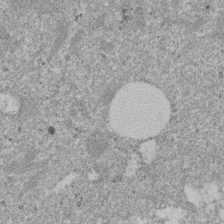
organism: Mouse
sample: Dividing mouse embryo 1 cell stage